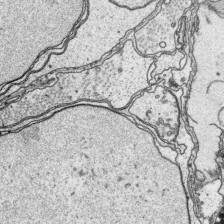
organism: Platynereis dumerilii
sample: Parapodia